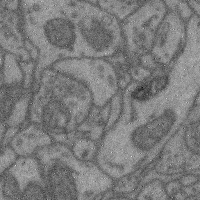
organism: Mouse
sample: Cerebral cortex